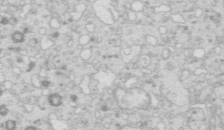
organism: Mouse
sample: Multiciliated cells